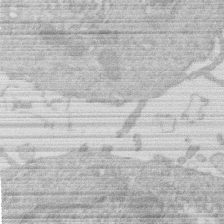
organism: Human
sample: Macrophage cells